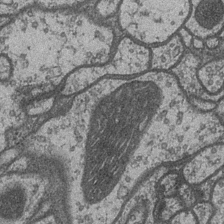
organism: Drosophila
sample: Optic medulla